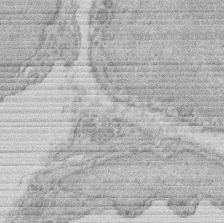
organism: Rat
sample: Salivary granule